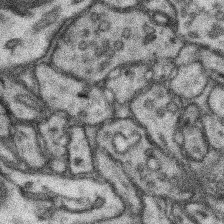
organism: Mouse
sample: Somatosensory cortex neuropil